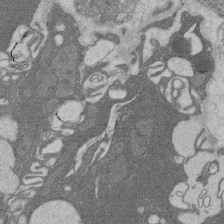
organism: Rat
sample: Salivary granule